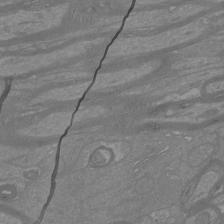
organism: Mouse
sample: Cortical neurons